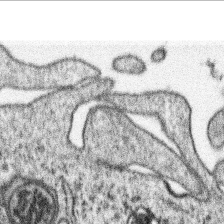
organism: Human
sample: HeLa cells